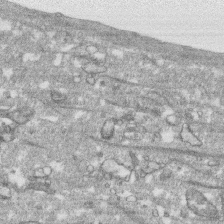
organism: Human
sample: CRL-1474